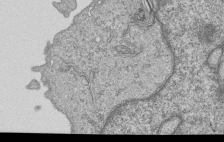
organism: Human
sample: MDA-MB-231 cells